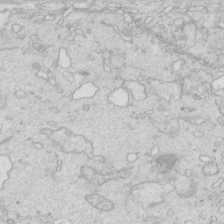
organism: Mouse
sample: Multiciliated cells